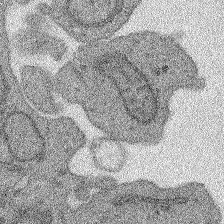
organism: Human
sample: HeLa cells